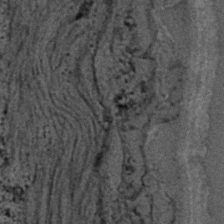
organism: C. elegans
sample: C. elegans embryo